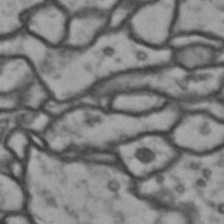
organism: Drosophila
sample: Brain